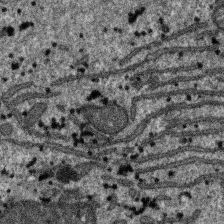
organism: Human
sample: Lung epithelial cells infected with SARS-CoV-2